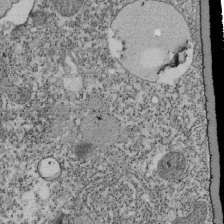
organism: Tetrahymena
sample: Cilia in tetrahymena